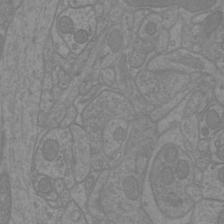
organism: Mouse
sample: Cortical neurons